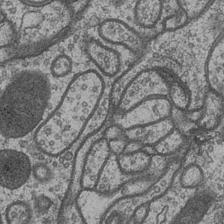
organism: Drosophila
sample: Optic medulla